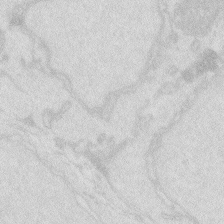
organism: Zebrafish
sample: Macrophage